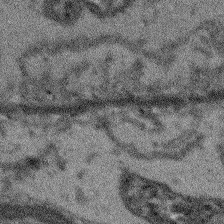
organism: Arabidopsis thaliana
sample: Root tip